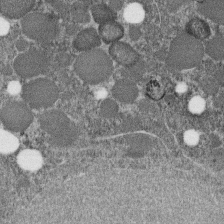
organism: C. elegans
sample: C. elegans embryo early stage